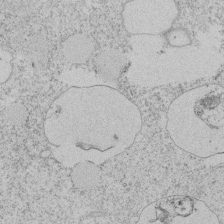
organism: Tetrahymena